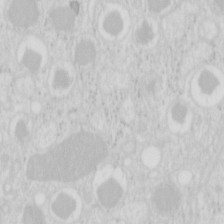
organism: Mouse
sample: Pancreas